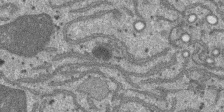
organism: Human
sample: Lung epithelial cells infected with SARS-CoV-2